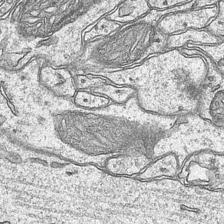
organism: Mouse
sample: CA1 Hippocampus